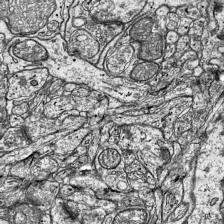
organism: Mouse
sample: Visual Cortex